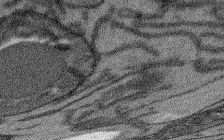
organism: Arabidopsis thaliana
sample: Root tip